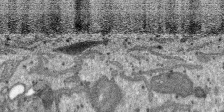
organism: Human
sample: Lung epithelial cells infected with SARS-CoV-2